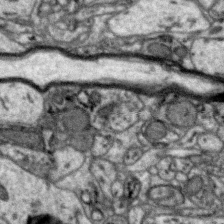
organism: Zebra finch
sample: Brain